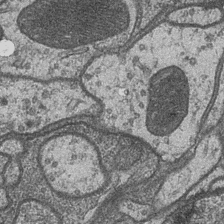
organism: Drosophila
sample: Optic medulla